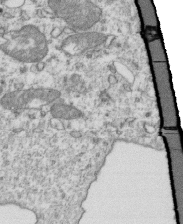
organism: Mouse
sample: Activated OT-1 CD8+ T cells